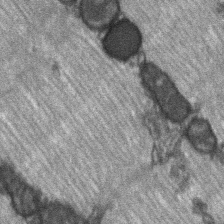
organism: C57BL Mouse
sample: Soleus